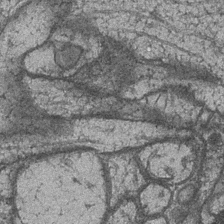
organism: Drosophila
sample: Optic medulla